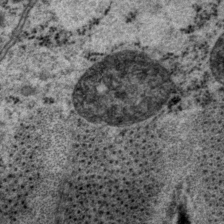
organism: P. pacificus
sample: Pharynx